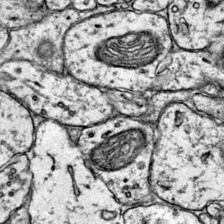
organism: Mouse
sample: Primary visual cortex